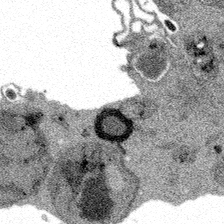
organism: Spongilla lacustris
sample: Multiple